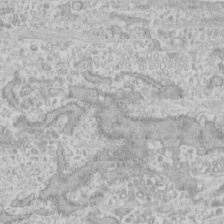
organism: Human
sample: CRL-1474